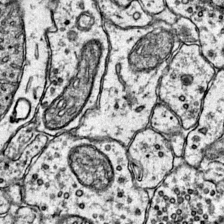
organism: Mouse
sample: Primary visual cortex